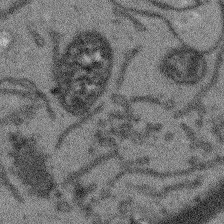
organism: Arabidopsis thaliana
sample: Root tip